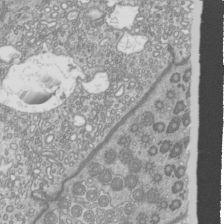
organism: Mouse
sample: Cilia; mouse epididymis